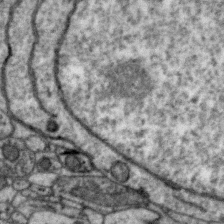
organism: Zebra finch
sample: Brain